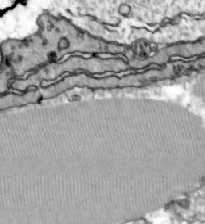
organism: Zebrafish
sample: Actinotrichia fibers